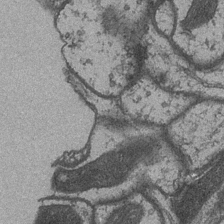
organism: Drosophila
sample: Optic medulla